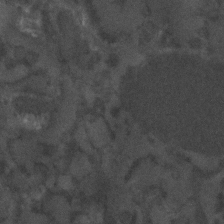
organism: C. elegans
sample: C. elegans embryo